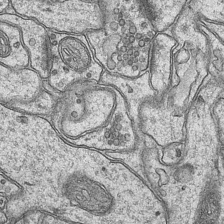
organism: Mouse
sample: CA1 Hippocampus